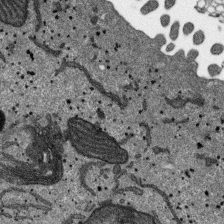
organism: Human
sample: Lung epithelial cells, uninfected (mock) control